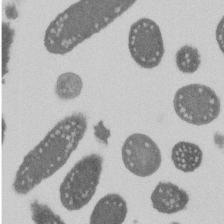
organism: E. coli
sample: Bacterial nucleoid